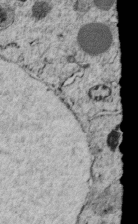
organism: C. elegans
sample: C. elegans embryo early stage